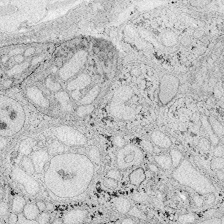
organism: Zebrafish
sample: Whole-Brain